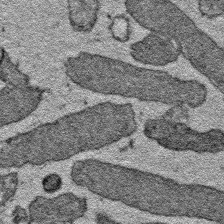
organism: E. coli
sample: E. Coli Bacteria